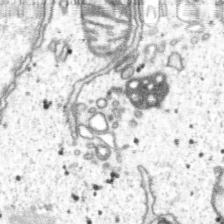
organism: Human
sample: HeLa cells